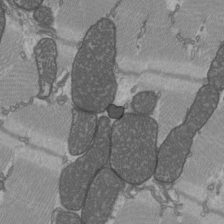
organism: C57BL Mouse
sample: Heart